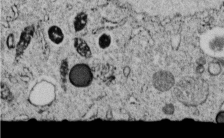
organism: C. elegans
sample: C. elegans embryo early stage